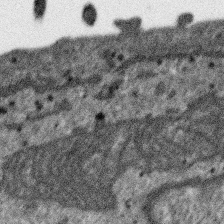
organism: Human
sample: Lung epithelial cells infected with SARS-CoV-2